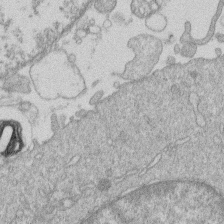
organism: Human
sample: Macrophage cells